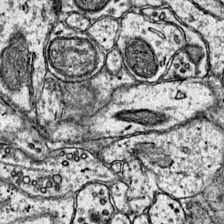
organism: Mouse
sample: Primary visual cortex